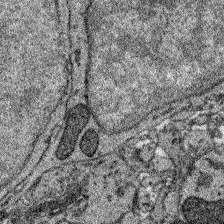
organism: Zebrafish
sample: Larval olfactory bulb